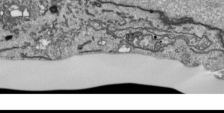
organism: Human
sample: Mitochondria in HCT116 cells